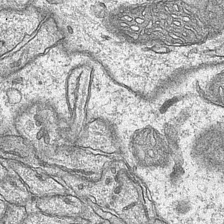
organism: Mouse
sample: CA1 Hippocampus